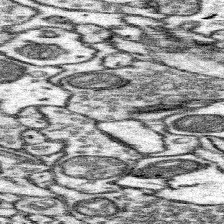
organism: Mouse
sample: Somatosensory cortex neuropil